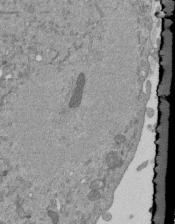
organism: Mouse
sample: ED-1 cell nuclei; centrioles